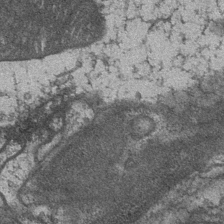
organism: Drosophila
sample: Optic medulla